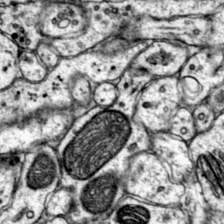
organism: Mouse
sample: Primary visual cortex